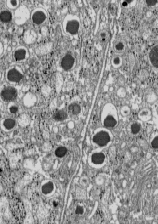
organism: C57BL Mouse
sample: Pancreatic islet